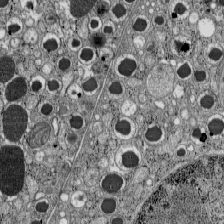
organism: C57BL Mouse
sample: Pancreatic islet